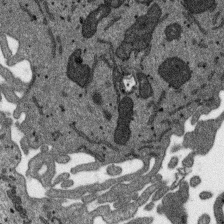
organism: Human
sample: Lung epithelial cells infected with SARS-CoV-2